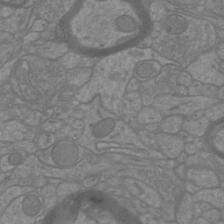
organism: Mouse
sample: Cortical neurons